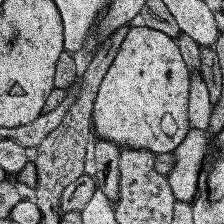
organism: Human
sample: Temporal Lobe